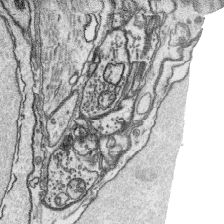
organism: Platynereis dumerilii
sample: Parapodia